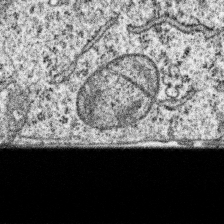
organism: Human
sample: HeLa cells